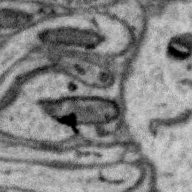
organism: Zebra finch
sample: Brain